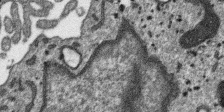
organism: Human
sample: Lung epithelial cells infected with SARS-CoV-2